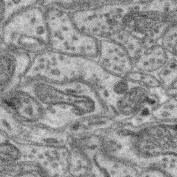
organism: Mouse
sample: Retina